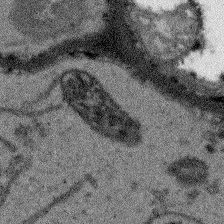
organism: Arabidopsis thaliana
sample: Root tip